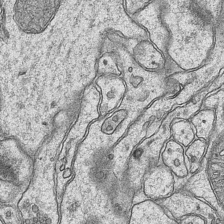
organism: Mouse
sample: CA1 Hippocampus